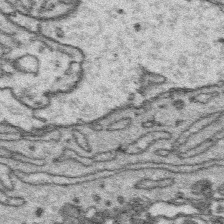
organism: Platynereis dumerilii